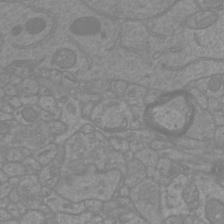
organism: Mouse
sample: Cortical neurons